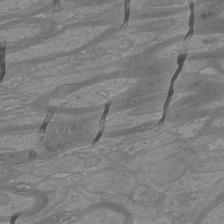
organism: Mouse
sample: Cortical neurons